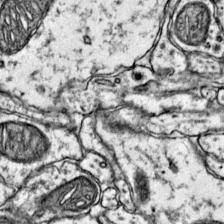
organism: Mouse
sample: Primary visual cortex